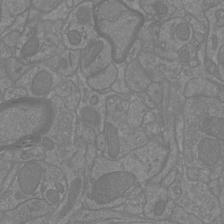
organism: Mouse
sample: Cortical neurons